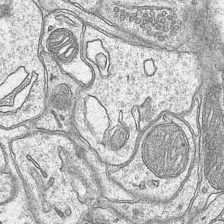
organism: Mouse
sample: CA1 Hippocampus